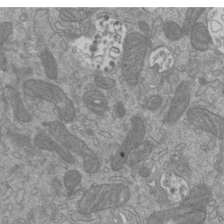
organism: Mouse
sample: ED-1 cell nuclei; centrioles